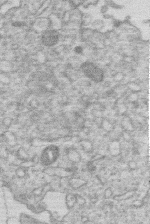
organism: Human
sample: Macrophage cells